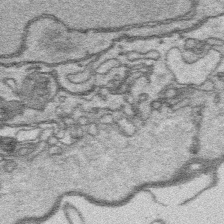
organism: Platynereis dumerilii